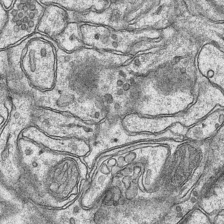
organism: Mouse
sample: CA1 Hippocampus